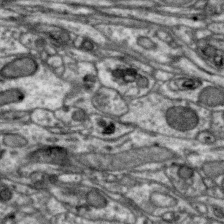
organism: Zebra finch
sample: Brain